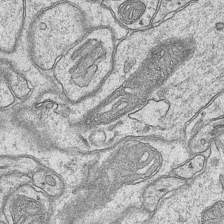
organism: Mouse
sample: CA1 Hippocampus